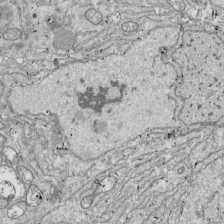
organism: Drosophila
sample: Cell division; meiosis; drosophila spermatocytes